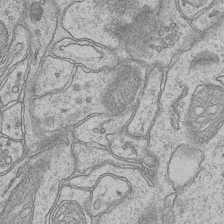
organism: Mouse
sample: CA1 Hippocampus